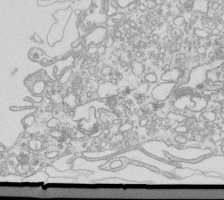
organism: Mouse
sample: Macrophages